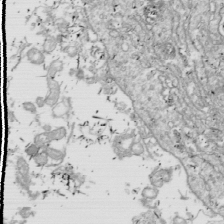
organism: Drosophila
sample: Cell division; meiosis; drosophila spermatocytes